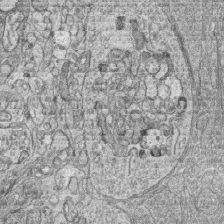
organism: Zebrafish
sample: synaptic ribbons in rod cells and cone cells